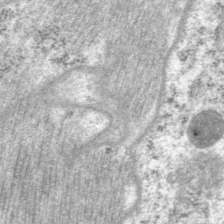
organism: P. pacificus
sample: Pharynx